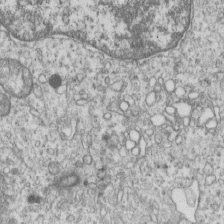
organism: Human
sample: MDA-MB-231 cells